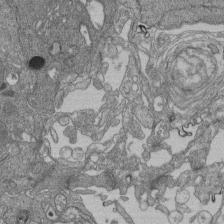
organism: Human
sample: Retinal organoid Rod and Cone cells